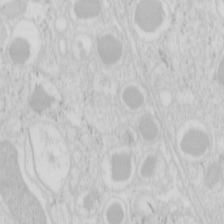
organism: Mouse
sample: Pancreas